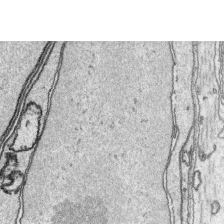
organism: Platynereis dumerilii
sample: Parapodia